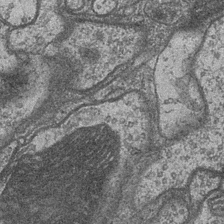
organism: Drosophila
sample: Optic medulla